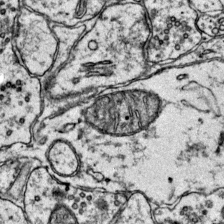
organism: Mouse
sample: Primary visual cortex